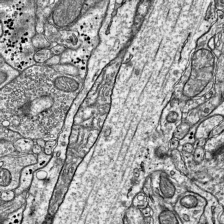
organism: Mouse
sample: Visual Cortex